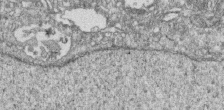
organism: Human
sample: HeLa cell HIV synapse